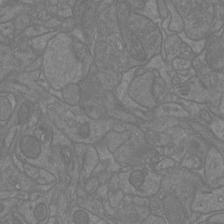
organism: Mouse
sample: Cortical neurons